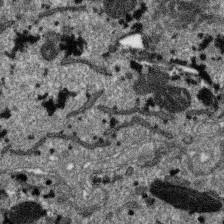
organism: Human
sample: Lung epithelial cells infected with SARS-CoV-2